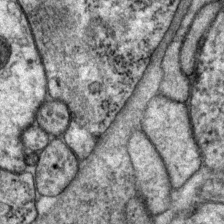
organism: P. pacificus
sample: Pharynx